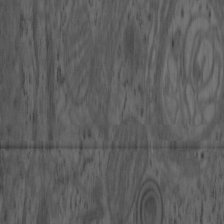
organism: Human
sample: HeLa cells